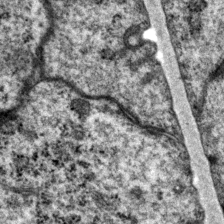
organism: P. pacificus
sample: Pharynx